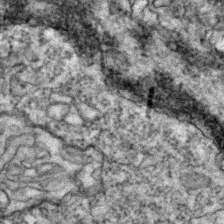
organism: Zebrafish